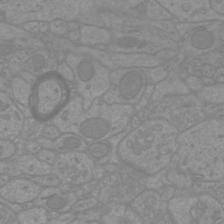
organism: Mouse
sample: Cortical neurons